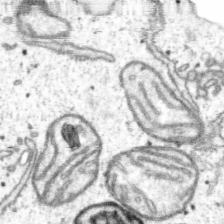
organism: Human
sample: HeLa cells